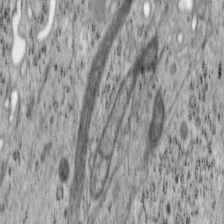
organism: Human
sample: HeLa cells